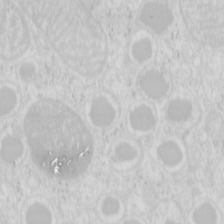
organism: Mouse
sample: Pancreas